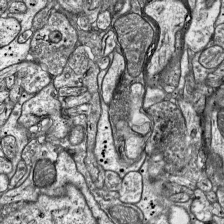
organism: Mouse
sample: Visual Cortex